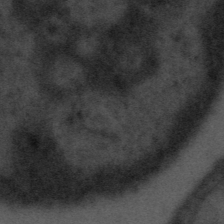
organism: Tuwongella immobilis